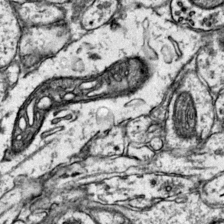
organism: Mouse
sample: Primary visual cortex